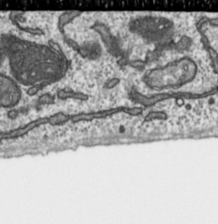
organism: Toxoplasma gondii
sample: Parasites in a vacuole inside a host cell